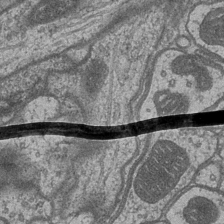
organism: Drosophila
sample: Optic medulla